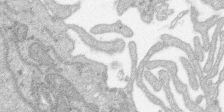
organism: Human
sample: Lung epithelial cells infected with SARS-CoV-2